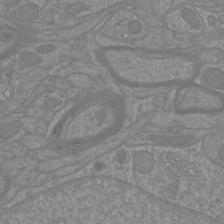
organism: Mouse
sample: Cortical neurons